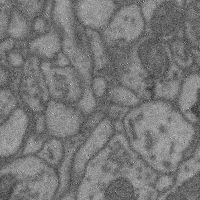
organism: Mouse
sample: Cerebral cortex